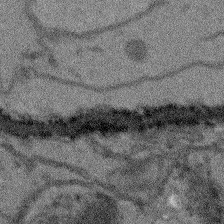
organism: Arabidopsis thaliana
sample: Root tip